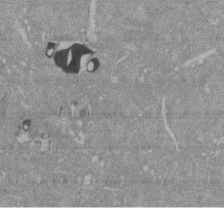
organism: Mouse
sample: ED-1 cell nuclei; centrioles